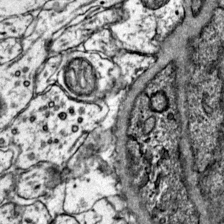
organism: Mouse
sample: Primary visual cortex